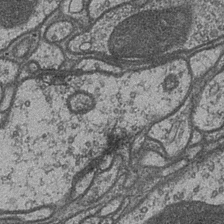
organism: Drosophila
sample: Optic medulla